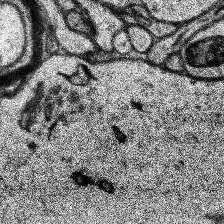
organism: Human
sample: Temporal Lobe